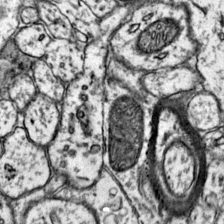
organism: Mouse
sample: Primary visual cortex